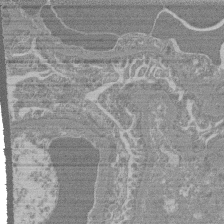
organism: Mouse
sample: Glomerulus